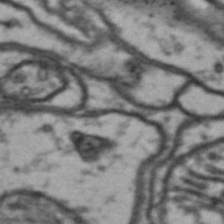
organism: Drosophila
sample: Brain